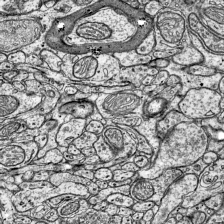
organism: Mouse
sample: Visual Cortex